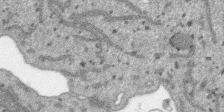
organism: Human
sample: Lung epithelial cells infected with SARS-CoV-2